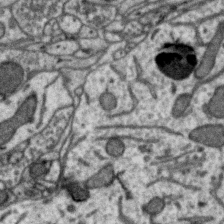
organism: Zebra finch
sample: Brain